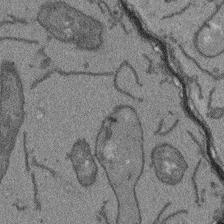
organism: Arabidopsis thaliana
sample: Root tip